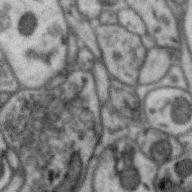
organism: Zebra finch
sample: Brain